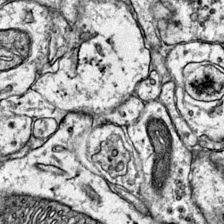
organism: Mouse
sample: Primary visual cortex